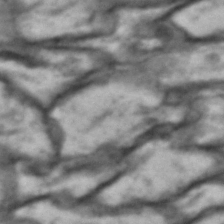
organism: Drosophila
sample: Brain